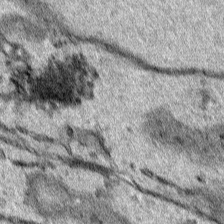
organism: Human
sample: Mitochondria in HCT116 cells